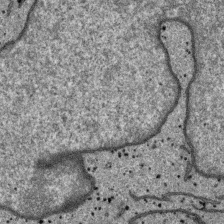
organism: Human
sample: Lung epithelial cells, uninfected (mock) control